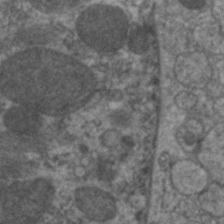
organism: C. elegans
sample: Pharynx